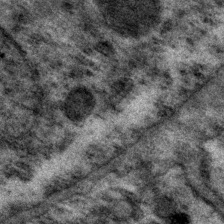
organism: P. pacificus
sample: Pharynx